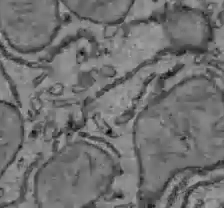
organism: C57BL Mouse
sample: Liver